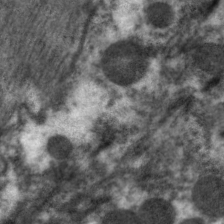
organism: C. elegans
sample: Pharynx